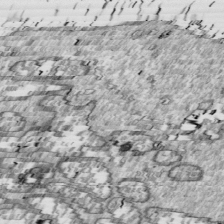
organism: Drosophila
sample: Cell division; meiosis; drosophila spermatocytes